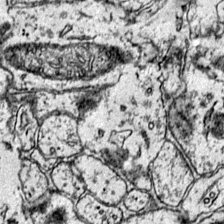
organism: Mouse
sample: Primary visual cortex